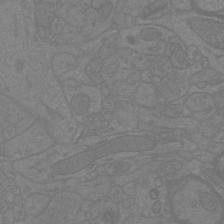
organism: Mouse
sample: Cortical neurons